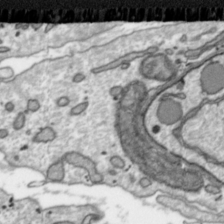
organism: Toxoplasma gondii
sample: Parasites in a vacuole inside a host cell